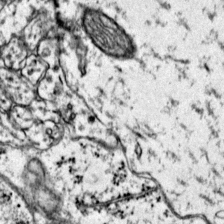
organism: Mouse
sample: Primary visual cortex